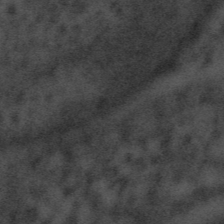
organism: Tuwongella immobilis